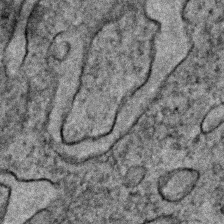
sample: Trachea